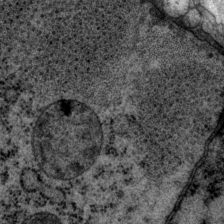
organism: P. pacificus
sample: Pharynx